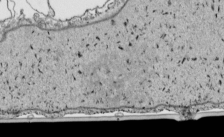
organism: Human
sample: Mitochondria in HCT116 cells